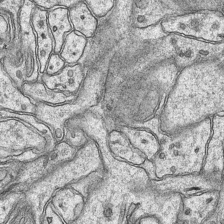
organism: Mouse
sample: CA1 Hippocampus